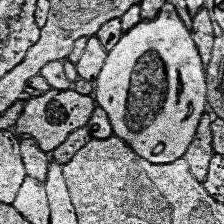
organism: Human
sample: Temporal Lobe